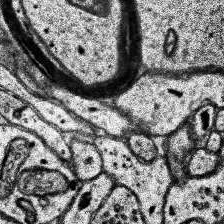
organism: Human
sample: Temporal Lobe